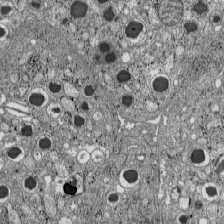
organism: C57BL Mouse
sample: Pancreatic islet